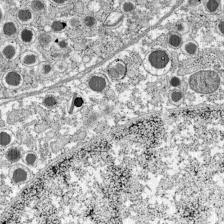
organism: C57BL Mouse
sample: Pancreatic islet